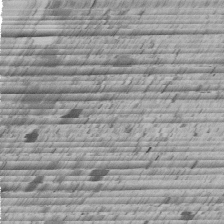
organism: C. elegans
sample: C. elegans embryo early stage